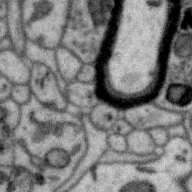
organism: Zebra finch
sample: Brain